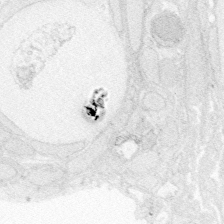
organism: Zebrafish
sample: Whole-Brain